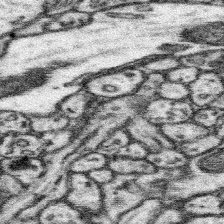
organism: Mouse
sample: Somatosensory cortex neuropil